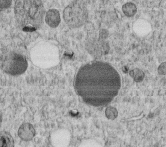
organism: C. elegans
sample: C. elegans embryo early stage